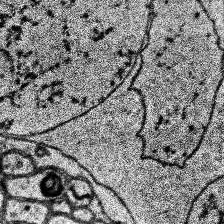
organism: Human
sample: Temporal Lobe